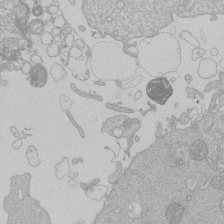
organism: Human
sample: Macrophage cells